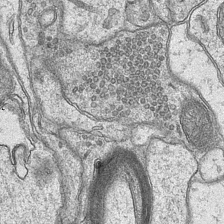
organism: Mouse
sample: CA1 Hippocampus